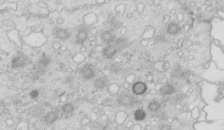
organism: Mouse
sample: Multiciliated cells